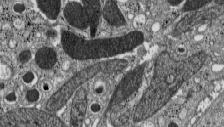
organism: C57BL Mouse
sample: Pancreatic islet